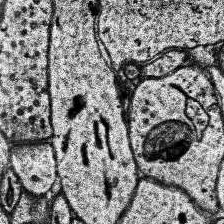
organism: Human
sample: Temporal Lobe